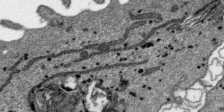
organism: Human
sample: Lung epithelial cells, uninfected (mock) control